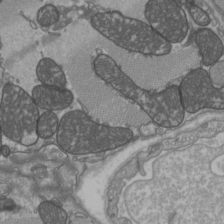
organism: C57BL Mouse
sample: Heart